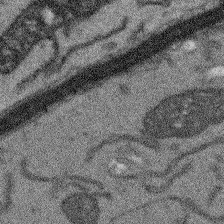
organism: Arabidopsis thaliana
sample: Root tip